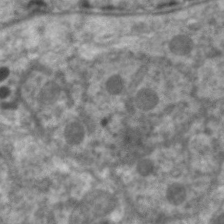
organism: C. elegans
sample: Pharynx